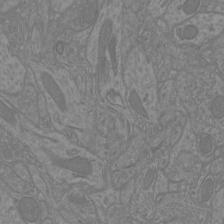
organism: Mouse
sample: Cortical neurons